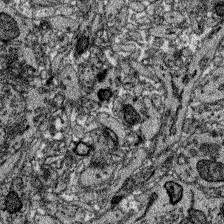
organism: Zebrafish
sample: Larval olfactory bulb